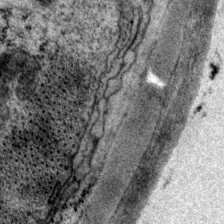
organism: P. pacificus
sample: Pharynx